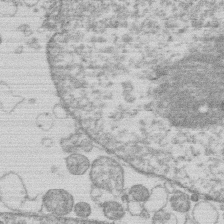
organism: Human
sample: Macrophage cells